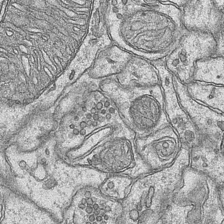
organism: Mouse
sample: CA1 Hippocampus